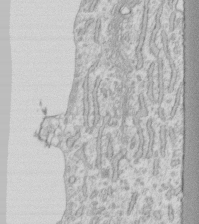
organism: Human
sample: Fibroblast cells